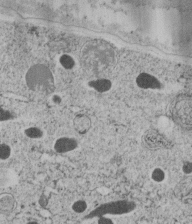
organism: C. elegans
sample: C. elegans embryo early stage